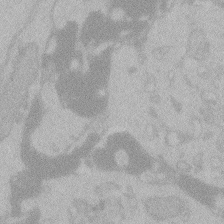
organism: Zebrafish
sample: Macrophage infected with Toxoplasma gondii